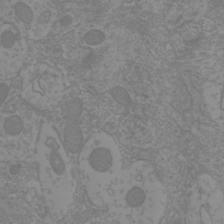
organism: Mouse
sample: Cortical neurons